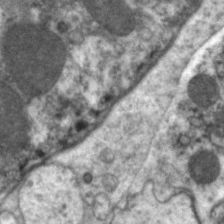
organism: C. elegans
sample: Pharynx